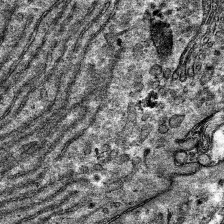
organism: Mouse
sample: Mouse hepatocytes